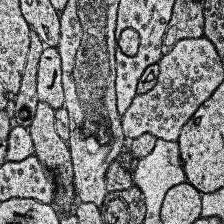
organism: Human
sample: Temporal Lobe